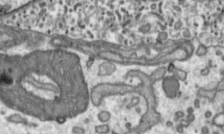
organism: Toxoplasma gondii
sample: Parasites in a vacuole inside a host cell